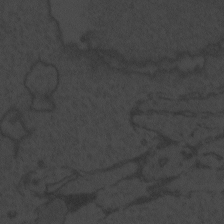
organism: Zebrafish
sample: Macrophage infected with Toxoplasma gondii